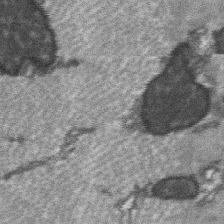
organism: C57BL Mouse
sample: Soleus